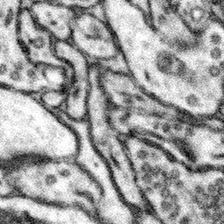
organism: Mouse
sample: Somatosensory cortex neuropil